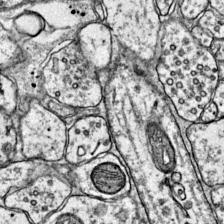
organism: Mouse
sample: Primary visual cortex